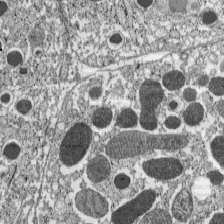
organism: C57BL Mouse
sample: Pancreatic islet